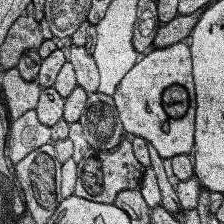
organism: Human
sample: Temporal Lobe